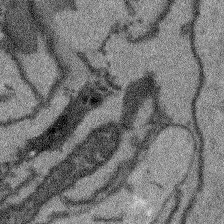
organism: Arabidopsis thaliana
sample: Root tip